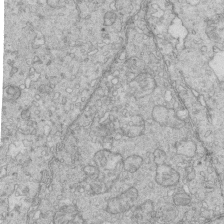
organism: Mouse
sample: Multiciliated cells